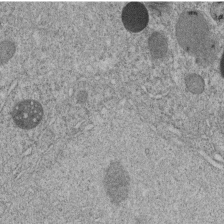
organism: C. elegans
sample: C. elegans embryo early stage